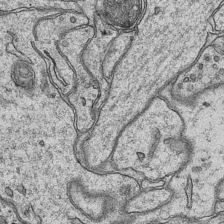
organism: Mouse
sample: CA1 Hippocampus